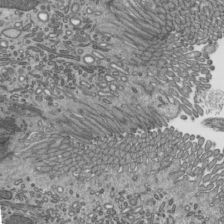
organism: Mouse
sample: Mouse epididymis efferent ductule cilia